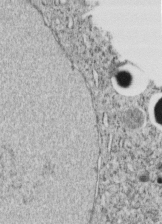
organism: C. elegans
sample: C. elegans embryo early stage